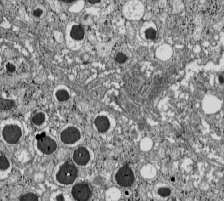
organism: C57BL Mouse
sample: Pancreatic islet